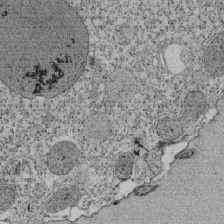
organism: Tetrahymena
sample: Cilia in tetrahymena